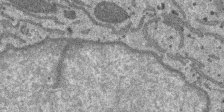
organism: Human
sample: Lung epithelial cells infected with SARS-CoV-2